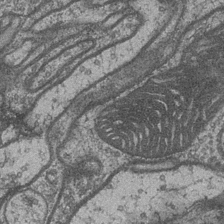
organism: Drosophila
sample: Optic medulla